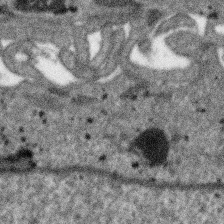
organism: Human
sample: Lung epithelial cells infected with SARS-CoV-2